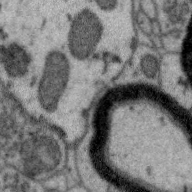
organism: Zebra finch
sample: Brain